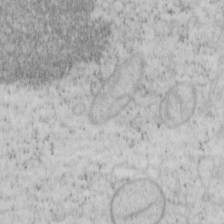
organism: Human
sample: HeLa cells